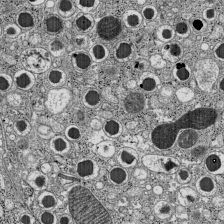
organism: C57BL Mouse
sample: Pancreatic islet